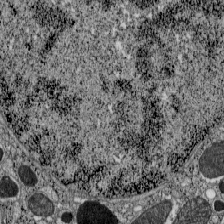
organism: C57BL Mouse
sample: Pancreatic islet